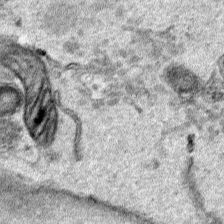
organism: Human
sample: Mitochondria in HCT116 cells